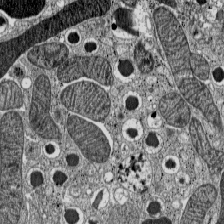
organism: C57BL Mouse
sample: Pancreatic islet